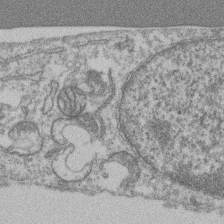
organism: Mouse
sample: T cell stromal cell synapse